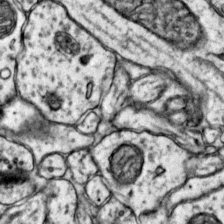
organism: Mouse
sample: Primary visual cortex